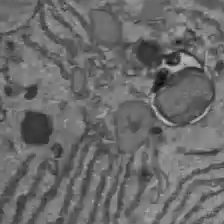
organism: C57BL Mouse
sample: Liver